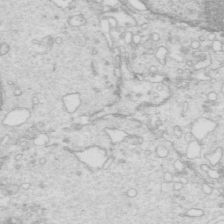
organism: Mouse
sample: Multiciliated cells